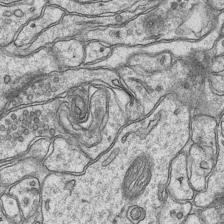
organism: Mouse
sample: CA1 Hippocampus